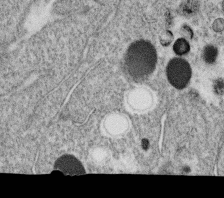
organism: C. elegans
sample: C. elegans oocyte; sperm cells